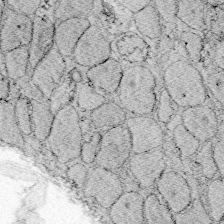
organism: Zebrafish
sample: Whole-Brain